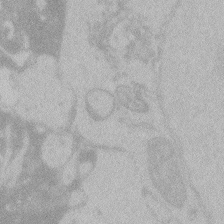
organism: Zebrafish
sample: Macrophage infected with Toxoplasma gondii